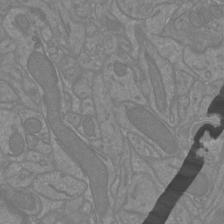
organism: Mouse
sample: Cortical neurons